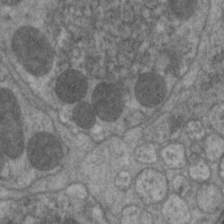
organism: C. elegans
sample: Pharynx